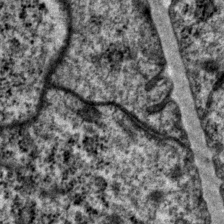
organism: P. pacificus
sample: Pharynx